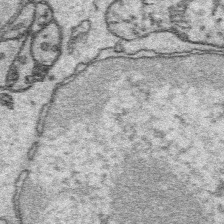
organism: Platynereis dumerilii